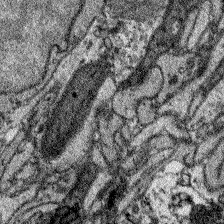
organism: Zebrafish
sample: Larval olfactory bulb